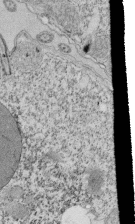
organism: Tetrahymena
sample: Cilia in tetrahymena